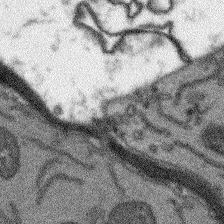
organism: Arabidopsis thaliana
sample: Root tip